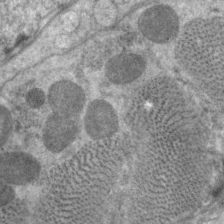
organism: C. elegans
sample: Pharynx